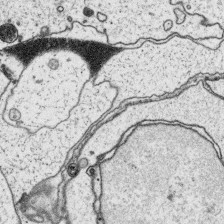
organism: Platynereis dumerilii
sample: Parapodia